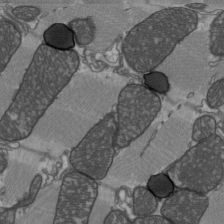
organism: C57BL Mouse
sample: Heart